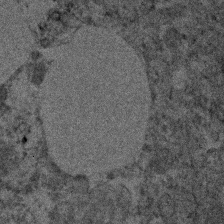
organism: Human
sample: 1205lu cells